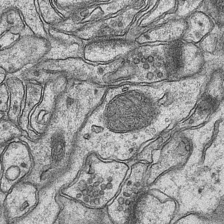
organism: Mouse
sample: CA1 Hippocampus